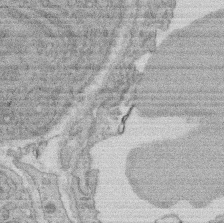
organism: Rat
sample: Salivary granule